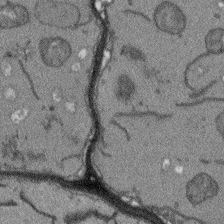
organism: Arabidopsis thaliana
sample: Root tip